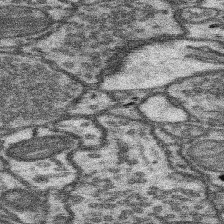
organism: Mouse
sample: Somatosensory cortex neuropil